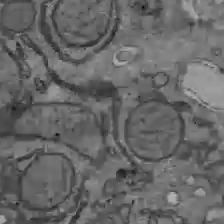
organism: C57BL Mouse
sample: Liver